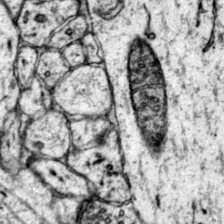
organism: Mouse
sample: Primary visual cortex